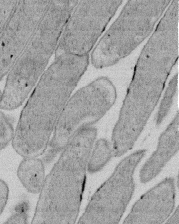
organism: E. coli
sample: Bacterial nucleoid